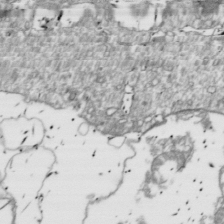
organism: Drosophila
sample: Cell division; meiosis; drosophila spermatocytes